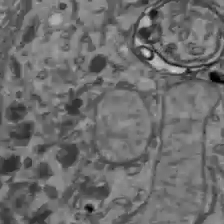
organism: C57BL Mouse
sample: Liver